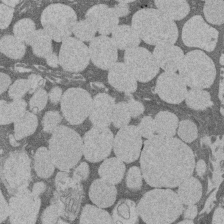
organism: Rat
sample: Salivary granule